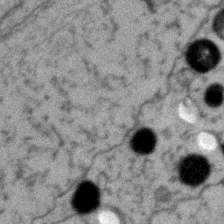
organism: Zebrafish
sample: Zebrafish embryo